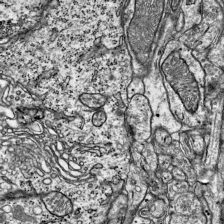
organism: Mouse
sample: Visual Cortex